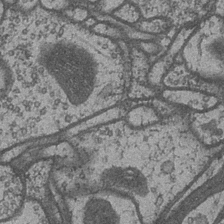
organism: Drosophila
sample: Optic medulla